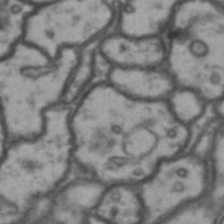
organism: Drosophila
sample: Brain